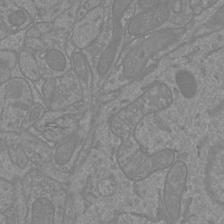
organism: Mouse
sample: Cortical neurons